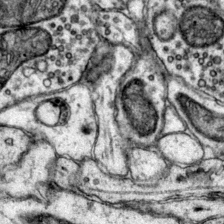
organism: Mouse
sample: Primary visual cortex